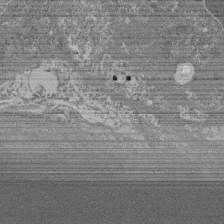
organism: Mouse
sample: Glomerulus